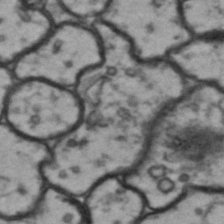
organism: Drosophila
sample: Brain